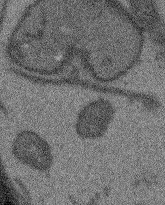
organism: Arabidopsis thaliana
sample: Root tip